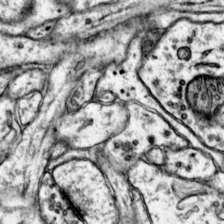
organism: Mouse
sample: Primary visual cortex